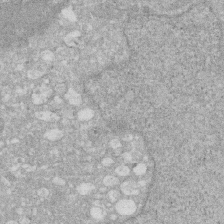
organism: Human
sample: HIV infected U937 cells